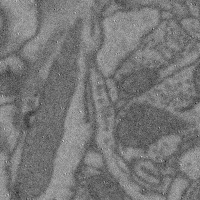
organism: Mouse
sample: Cerebral cortex